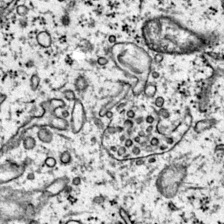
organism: Mouse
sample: Primary visual cortex